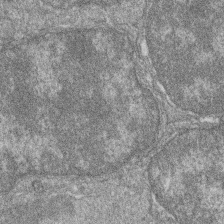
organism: Zebrafish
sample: Cilia; retinal pigment epithelium